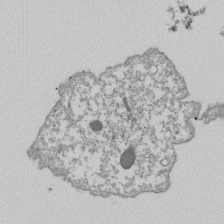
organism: Dictyostelium discoideum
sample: Dictyostelium multivesicular bodies